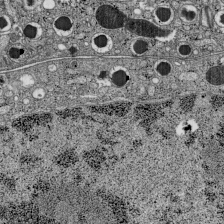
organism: C57BL Mouse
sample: Pancreatic islet